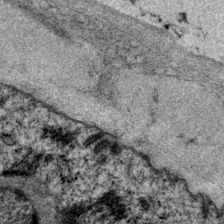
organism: P. pacificus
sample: Pharynx